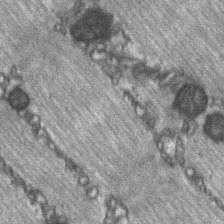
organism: C57BL Mouse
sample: Soleus